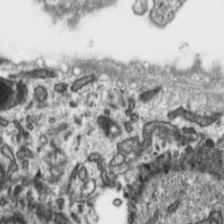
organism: Toxoplasma gondii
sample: Parasites in a vacuole inside a host cell